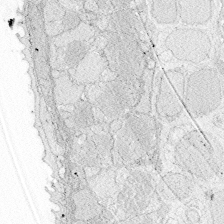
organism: Zebrafish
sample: Whole-Brain